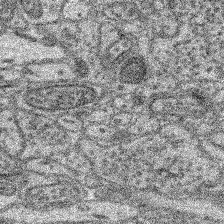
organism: Mouse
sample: Retina